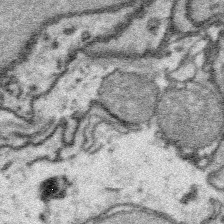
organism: Platynereis dumerilii